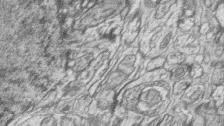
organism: Zebrafish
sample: synaptic ribbons in rod cells and cone cells